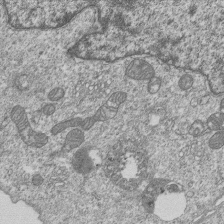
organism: Human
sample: MDA-MB-231 cells